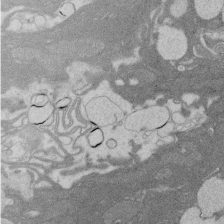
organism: Rat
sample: Salivary granule